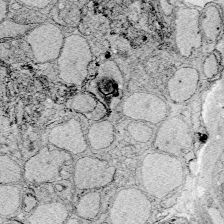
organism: Zebrafish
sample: Whole-Brain